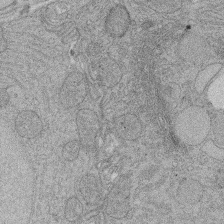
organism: Rat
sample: Salivary granule